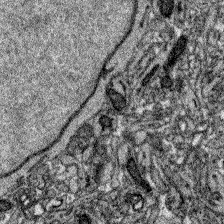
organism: Zebrafish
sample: Larval olfactory bulb